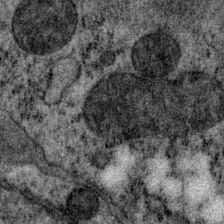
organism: P. pacificus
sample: Pharynx